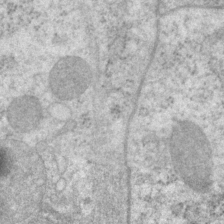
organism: P. pacificus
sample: Pharynx